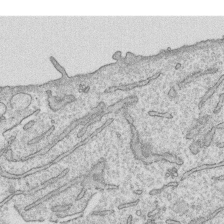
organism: Human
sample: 1205lu cells